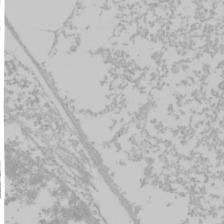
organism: Mouse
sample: Cancer cell death in ED-1 cells